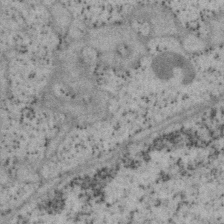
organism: Human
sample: HeLa cells